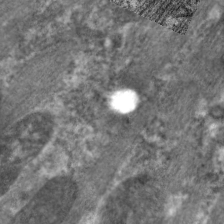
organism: C. elegans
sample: Pharynx